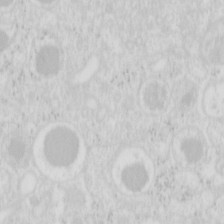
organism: Mouse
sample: Pancreas